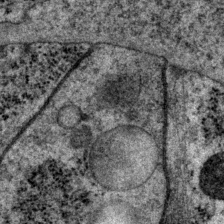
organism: P. pacificus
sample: Pharynx